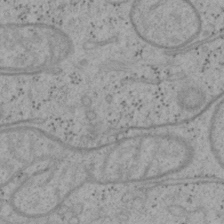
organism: Human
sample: HeLa cells